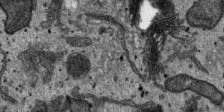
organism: Human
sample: Lung epithelial cells, uninfected (mock) control